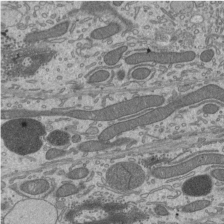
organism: Mouse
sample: Mouse epididymis efferent ductule cilia